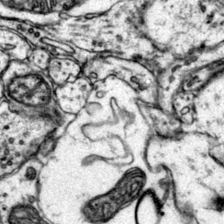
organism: Mouse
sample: Primary visual cortex